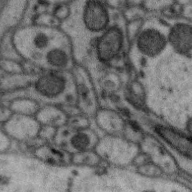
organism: Zebra finch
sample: Brain